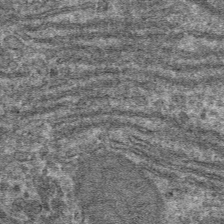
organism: Mouse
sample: Mouse hepatocytes